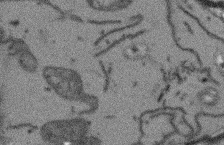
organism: Arabidopsis thaliana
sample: Root tip